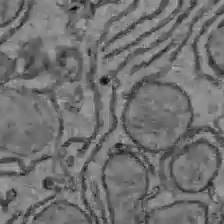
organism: C57BL Mouse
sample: Liver